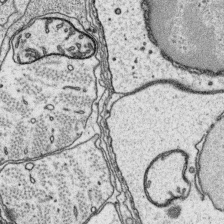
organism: Platynereis dumerilii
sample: Parapodia